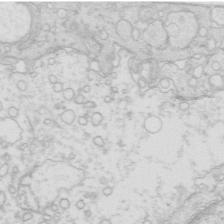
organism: Mouse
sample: Multiciliated cells